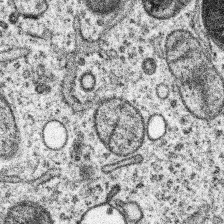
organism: Human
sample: HeLa cells